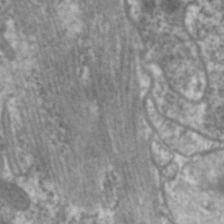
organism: C. elegans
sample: Pharynx